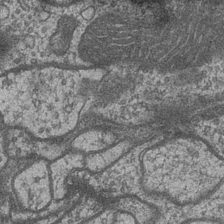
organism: Drosophila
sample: Optic medulla